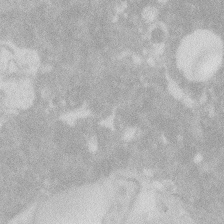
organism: Zebrafish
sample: Macrophage